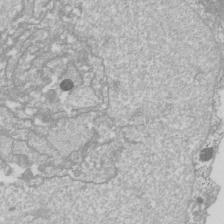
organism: Drosophila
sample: Cell division; meiosis; drosophila spermatocytes